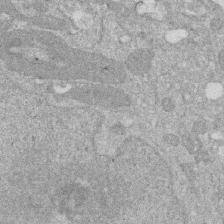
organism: Human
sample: HIV infected U937 cells